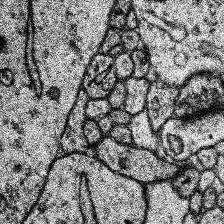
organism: Human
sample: Temporal Lobe